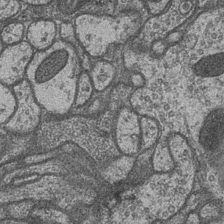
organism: Drosophila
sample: Optic medulla